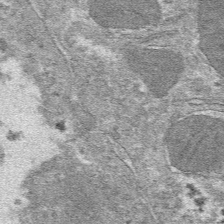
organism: Mouse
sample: Mouse hepatocytes